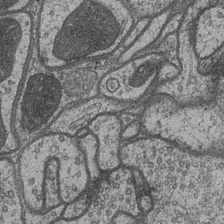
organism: Drosophila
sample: Optic medulla